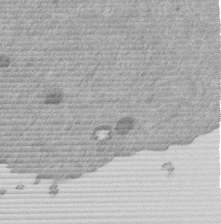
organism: Mouse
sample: Dividing mouse embryo 1 cell stage